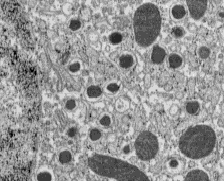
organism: C57BL Mouse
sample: Pancreatic islet